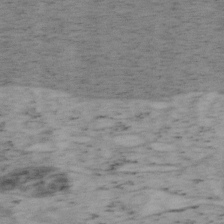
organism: Mouse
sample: OT-I killer T cells with ID8 ovarian cancer cells